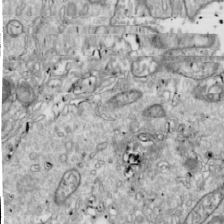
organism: Drosophila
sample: Cell division; meiosis; drosophila spermatocytes